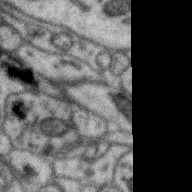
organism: Zebra finch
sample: Brain